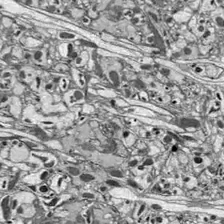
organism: Drosophila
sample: Optic lobe